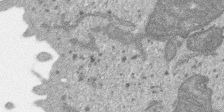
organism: Human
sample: Lung epithelial cells infected with SARS-CoV-2